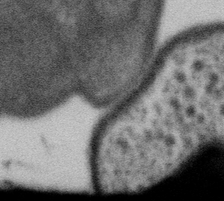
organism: Gemmata obscuriglobus